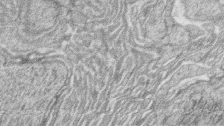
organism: Zebrafish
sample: synaptic ribbons in rod cells and cone cells